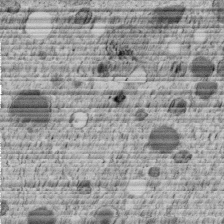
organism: C. elegans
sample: C. elegans embryo early stage